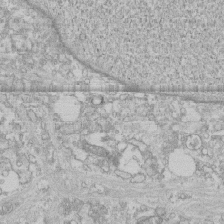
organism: Human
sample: CRL-1474